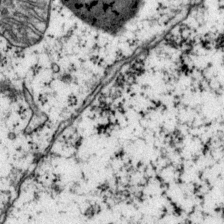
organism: Mouse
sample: Primary visual cortex